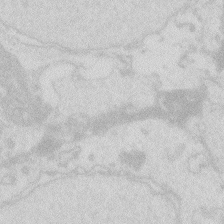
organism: Zebrafish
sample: Macrophage